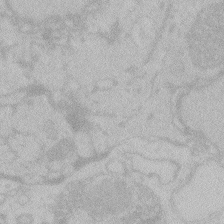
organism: Zebrafish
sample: Macrophage infected with Toxoplasma gondii